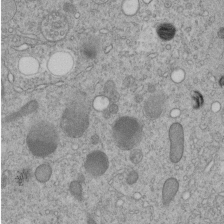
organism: C. elegans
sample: C. elegans embryo early stage